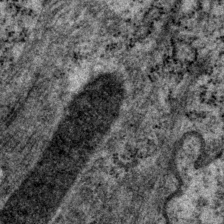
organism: P. pacificus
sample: Pharynx